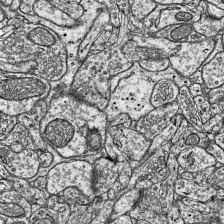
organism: Mouse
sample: Visual Cortex